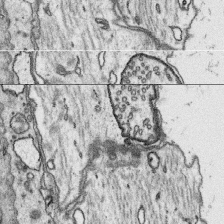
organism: Platynereis dumerilii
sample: Parapodia